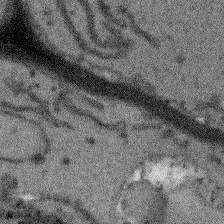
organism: Arabidopsis thaliana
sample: Root tip